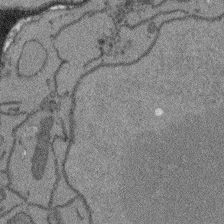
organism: Arabidopsis thaliana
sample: Root tip